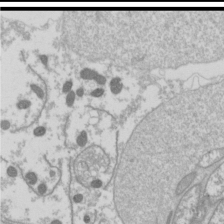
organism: Drosophila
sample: Cell division; meiosis; drosophila spermatocytes